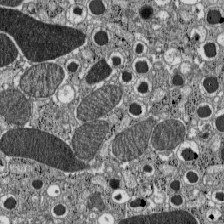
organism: C57BL Mouse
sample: Pancreatic islet